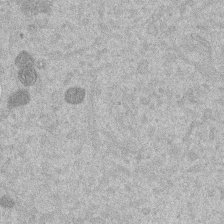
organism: Mouse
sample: Dividing mouse embryo 1 cell stage